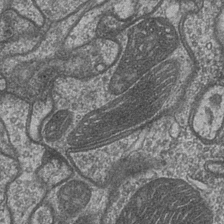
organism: Drosophila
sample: Optic medulla